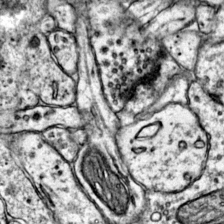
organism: Mouse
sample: Primary visual cortex